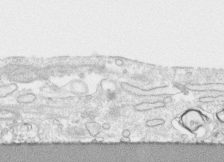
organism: Human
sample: CRL-1474